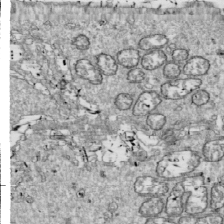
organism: Drosophila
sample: Cell division; meiosis; drosophila spermatocytes